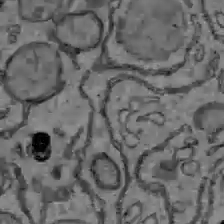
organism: C57BL Mouse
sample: Liver